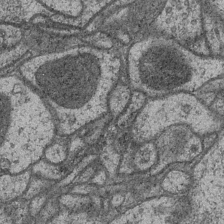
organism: Drosophila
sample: Optic medulla